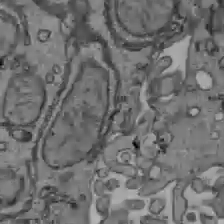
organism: C57BL Mouse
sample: Liver